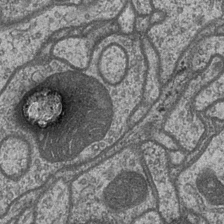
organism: Drosophila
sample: Optic medulla